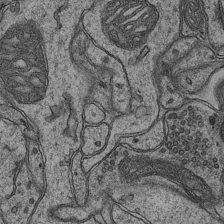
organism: Mouse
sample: CA1 Hippocampus